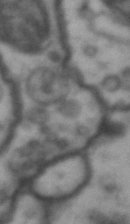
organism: Drosophila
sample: Brain